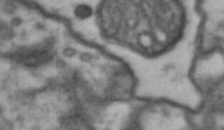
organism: Drosophila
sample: Brain